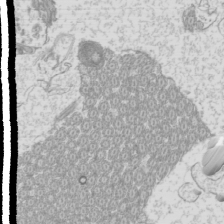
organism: Mouse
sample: Cilia; mouse epididymis